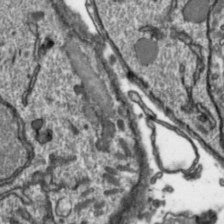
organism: Toxoplasma gondii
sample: Parasites in a vacuole inside a host cell